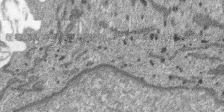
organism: Human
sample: Lung epithelial cells infected with SARS-CoV-2